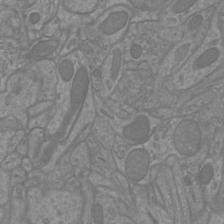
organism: Mouse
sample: Cortical neurons